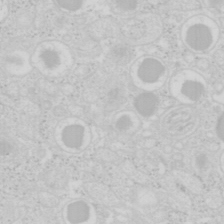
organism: Mouse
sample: Pancreas